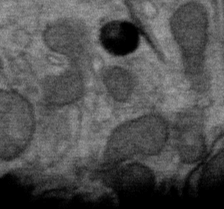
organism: Mouse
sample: Mouse Salivary gland